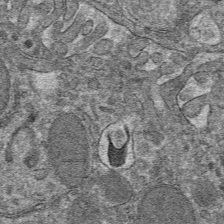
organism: Mouse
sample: Mouse hepatocytes